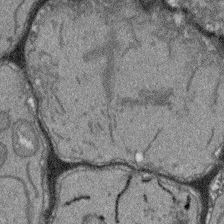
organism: Arabidopsis thaliana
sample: Root tip